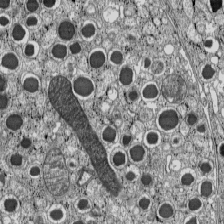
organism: C57BL Mouse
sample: Pancreatic islet